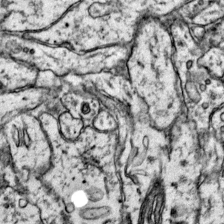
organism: Mouse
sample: Primary visual cortex